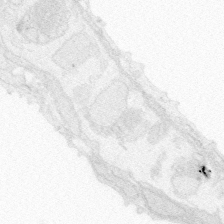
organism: Zebrafish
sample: Whole-Brain